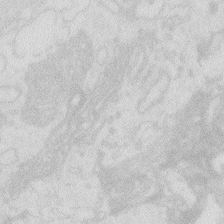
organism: Zebrafish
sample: Macrophage